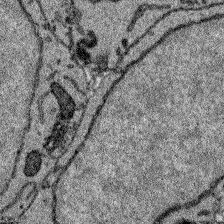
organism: Zebrafish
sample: Larval olfactory bulb